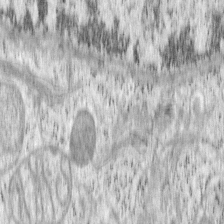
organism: Human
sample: HeLa cells